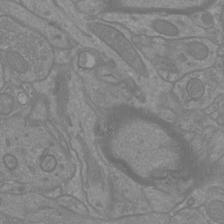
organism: Mouse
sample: Cortical neurons